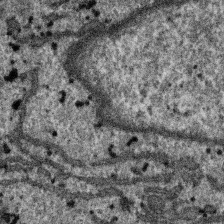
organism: Human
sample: Lung epithelial cells infected with SARS-CoV-2